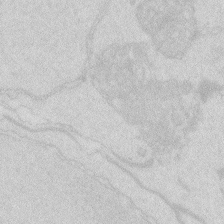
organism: Zebrafish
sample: Macrophage